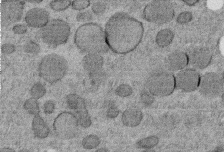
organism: C. elegans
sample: C. elegans embryo early stage